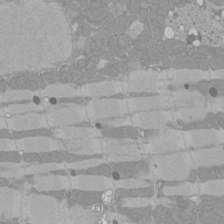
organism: Rat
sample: Left ventricle